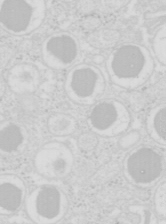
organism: Mouse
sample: Pancreas